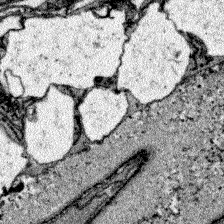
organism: Zebrafish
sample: Larval olfactory bulb